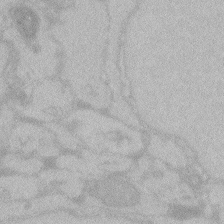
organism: Zebrafish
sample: Macrophage infected with Toxoplasma gondii